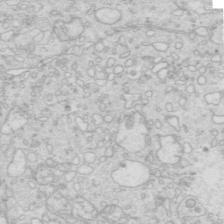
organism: Mouse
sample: Multiciliated cells